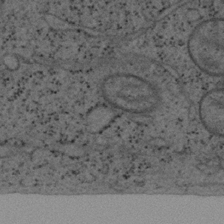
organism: Human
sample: HeLa cells